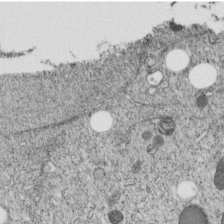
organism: C. elegans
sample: C. elegans embryo early stage